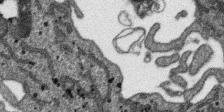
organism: Human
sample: Lung epithelial cells infected with SARS-CoV-2